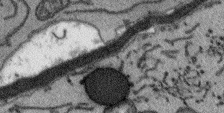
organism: Arabidopsis thaliana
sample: Root tip